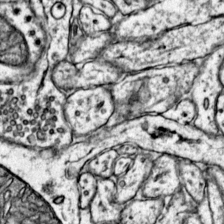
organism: Mouse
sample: Primary visual cortex